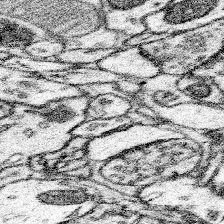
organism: Mouse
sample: Somatosensory cortex neuropil